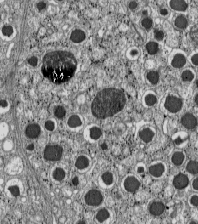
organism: C57BL Mouse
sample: Pancreatic islet